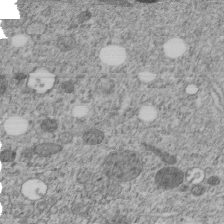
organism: C. elegans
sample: C. elegans embryo early stage